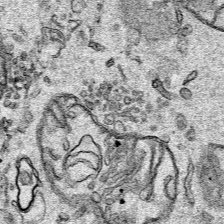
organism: Human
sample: Mitochondria in HCT116 cells